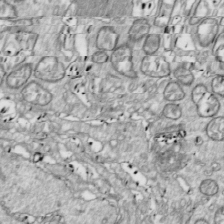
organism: Drosophila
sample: Cell division; meiosis; drosophila spermatocytes